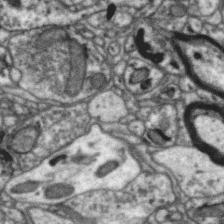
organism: Zebra finch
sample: Brain